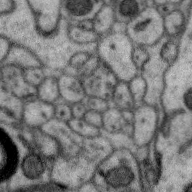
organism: Zebra finch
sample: Brain